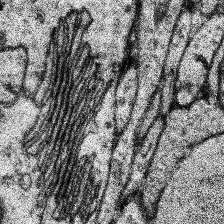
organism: Human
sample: Temporal Lobe